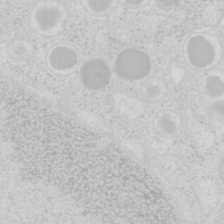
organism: Mouse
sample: Pancreas